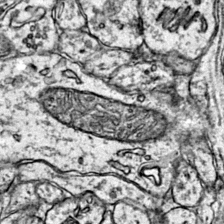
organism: Mouse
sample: Primary visual cortex